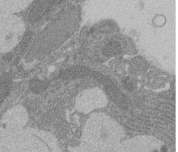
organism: Rat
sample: Salivary granule